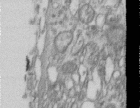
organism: Human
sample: Centriole in RPE cells